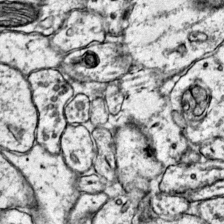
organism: Mouse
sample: Primary visual cortex